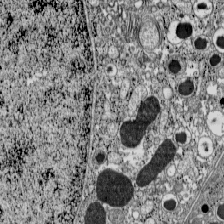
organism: C57BL Mouse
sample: Pancreatic islet